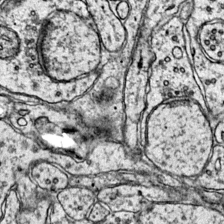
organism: Mouse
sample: Primary visual cortex